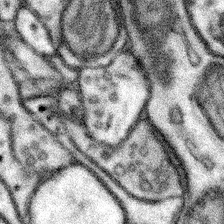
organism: Mouse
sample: Somatosensory cortex neuropil